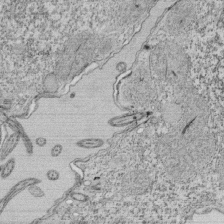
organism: Tetrahymena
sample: Cilia in tetrahymena